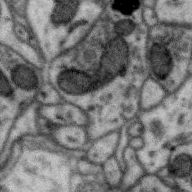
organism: Zebra finch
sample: Brain